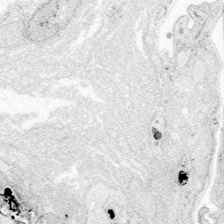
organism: Zebrafish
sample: Whole-Brain